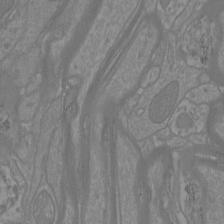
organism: Mouse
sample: Cortical neurons